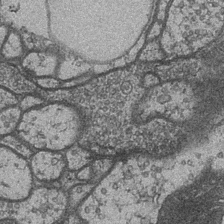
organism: Drosophila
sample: Optic medulla